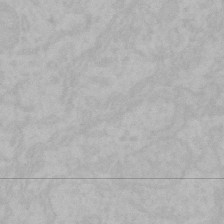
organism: Mouse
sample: Choroid plexus